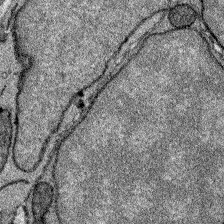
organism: Zebrafish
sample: Larval olfactory bulb